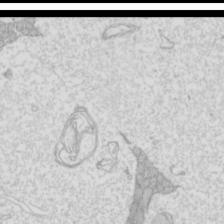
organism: Mouse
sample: Cilia; mouse epididymis